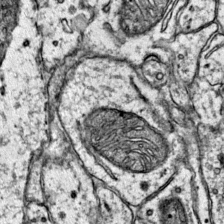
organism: Mouse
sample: Primary visual cortex